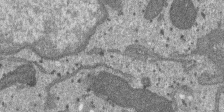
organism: Human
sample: Lung epithelial cells infected with SARS-CoV-2